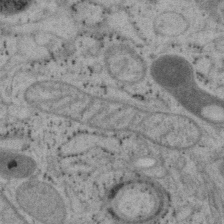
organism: Human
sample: HeLa cells